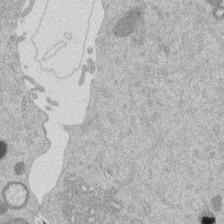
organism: Mouse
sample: Dividing mouse embryo 1 cell stage